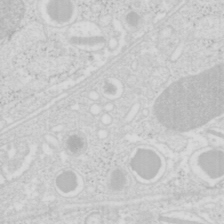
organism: Mouse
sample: Pancreas